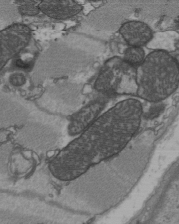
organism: C57BL Mouse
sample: Heart